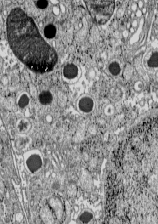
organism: C57BL Mouse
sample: Pancreatic islet